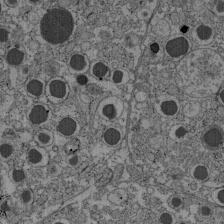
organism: C57BL Mouse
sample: Pancreatic islet